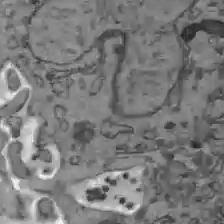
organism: C57BL Mouse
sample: Liver